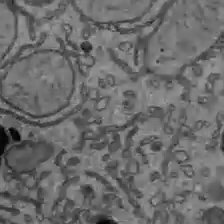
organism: C57BL Mouse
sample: Liver